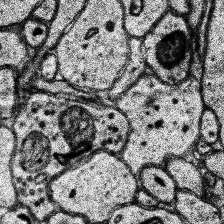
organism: Human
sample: Temporal Lobe